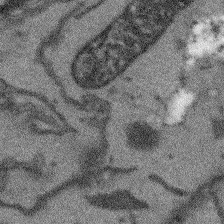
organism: Arabidopsis thaliana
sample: Root tip